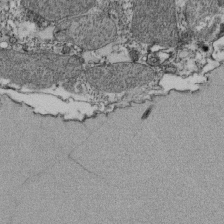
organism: Tetrahymena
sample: Cilia in tetrahymena